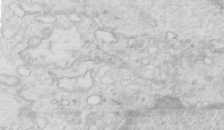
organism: Mouse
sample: Multiciliated cells